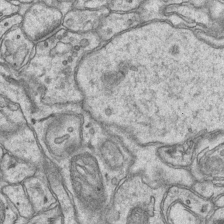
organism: Mouse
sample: CA1 Hippocampus